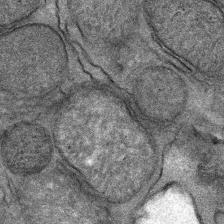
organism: Mouse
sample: Mouse Salivary gland